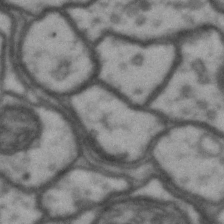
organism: Drosophila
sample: Brain